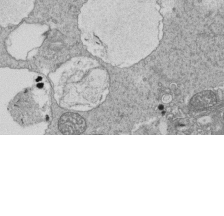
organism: Tetrahymena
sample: Cilia in tetrahymena